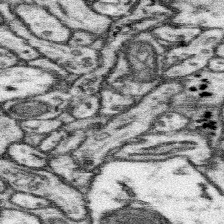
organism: Mouse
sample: Somatosensory cortex neuropil